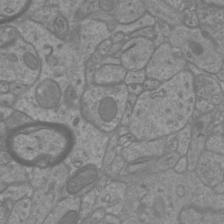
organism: Mouse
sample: Cortical neurons